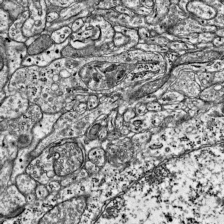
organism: Mouse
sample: Visual Cortex